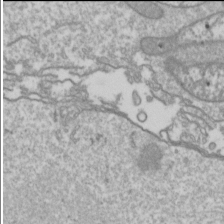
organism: Drosophila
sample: Cell division; meiosis; drosophila spermatocytes